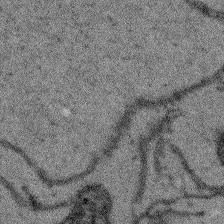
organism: Arabidopsis thaliana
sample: Root tip